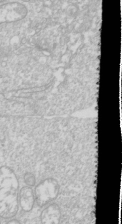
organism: Drosophila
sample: Cell division; meiosis; drosophila spermatocytes